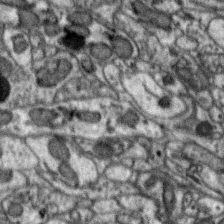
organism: Zebra finch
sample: Brain